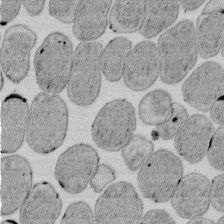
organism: E. coli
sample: Bacterial nucleoid